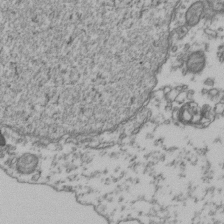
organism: Human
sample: Activated Jurkat CD4+ T cells